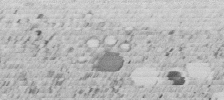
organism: C. elegans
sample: C. elegans embryo early stage